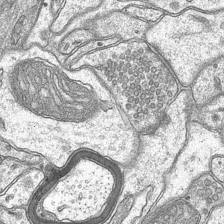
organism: Mouse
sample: CA1 Hippocampus